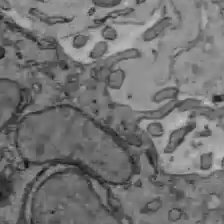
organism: C57BL Mouse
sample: Liver